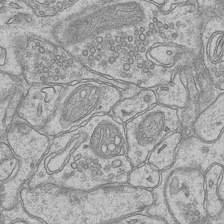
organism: Mouse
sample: CA1 Hippocampus